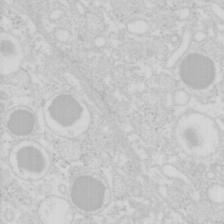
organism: Mouse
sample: Pancreas